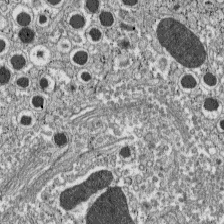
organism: C57BL Mouse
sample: Pancreatic islet